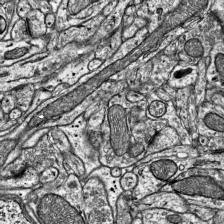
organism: Mouse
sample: Visual Cortex